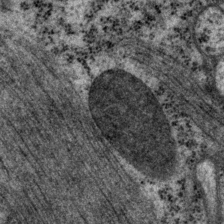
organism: P. pacificus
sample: Pharynx